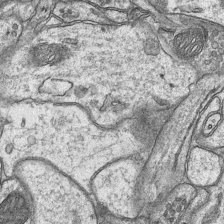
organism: Mouse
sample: CA1 Hippocampus